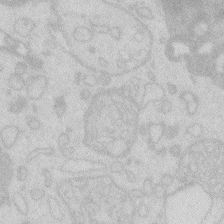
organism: Zebrafish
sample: Macrophage